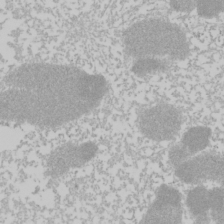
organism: Mouse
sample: Cancer cell death in ED-1 cells